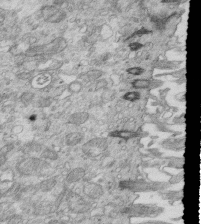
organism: Mouse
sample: Multiciliated cells